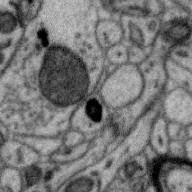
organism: Zebra finch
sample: Brain